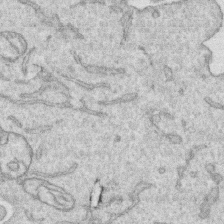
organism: Human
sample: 1205lu cells